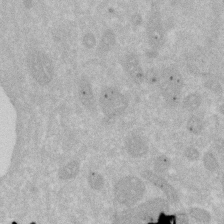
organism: Human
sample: HIV infected U937 cells